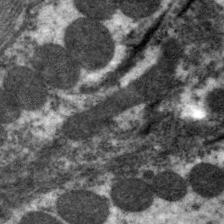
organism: C. elegans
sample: Pharynx